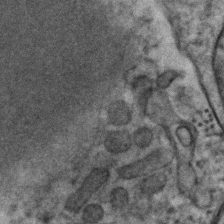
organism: Human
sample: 1205lu cells